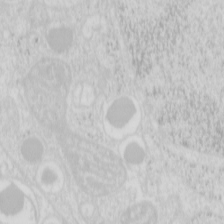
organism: Mouse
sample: Pancreas